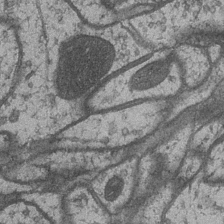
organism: Drosophila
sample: Optic medulla